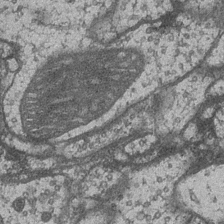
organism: Drosophila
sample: Optic medulla